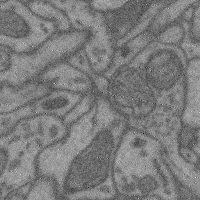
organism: Mouse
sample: Cerebral cortex